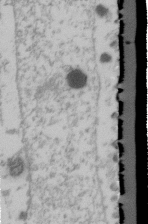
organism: Human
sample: U2-OS cells